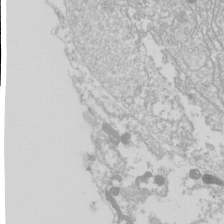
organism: Drosophila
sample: Cell division; meiosis; drosophila spermatocytes